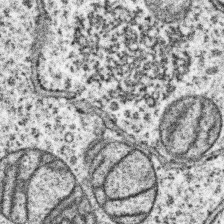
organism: Human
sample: HeLa cells